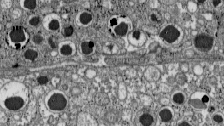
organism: C57BL Mouse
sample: Pancreatic islet